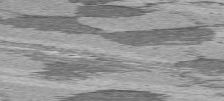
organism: C57BL Mouse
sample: Heart